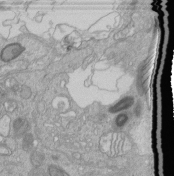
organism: Human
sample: Retinal organoid Rod and Cone cells